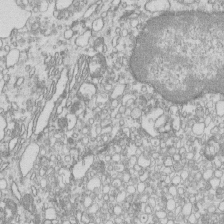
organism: Mouse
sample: Macrophages